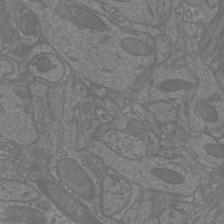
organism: Mouse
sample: Cortical neurons